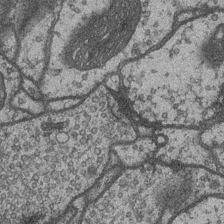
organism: Drosophila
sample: Optic medulla